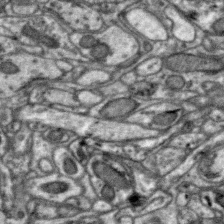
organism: Zebra finch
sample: Brain